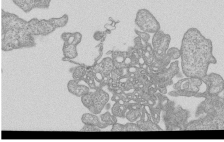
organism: Human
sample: MDA-MB-231 cells